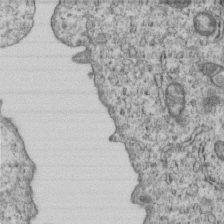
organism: Human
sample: MDA-MB-231 cells